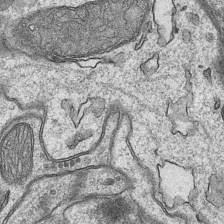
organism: Mouse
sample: CA1 Hippocampus